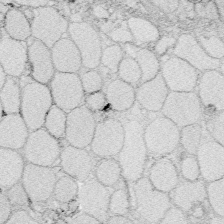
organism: Zebrafish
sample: Whole-Brain